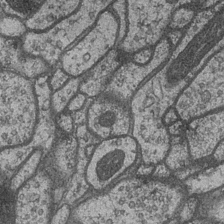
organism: Drosophila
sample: Optic medulla